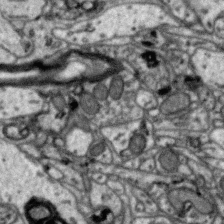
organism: Zebra finch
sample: Brain